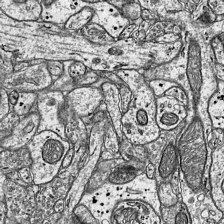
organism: Mouse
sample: Visual Cortex